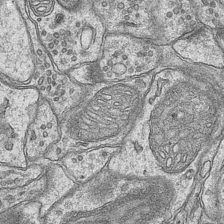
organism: Mouse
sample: CA1 Hippocampus